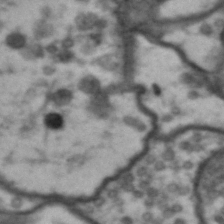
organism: Drosophila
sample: Brain